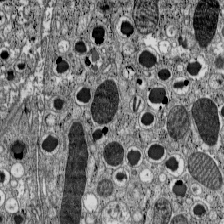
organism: C57BL Mouse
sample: Pancreatic islet